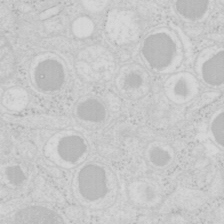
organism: Mouse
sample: Pancreas